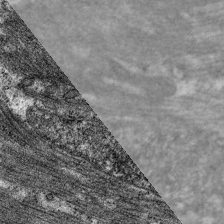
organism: C. elegans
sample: Pharynx